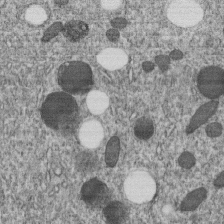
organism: C. elegans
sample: C. elegans embryo early stage